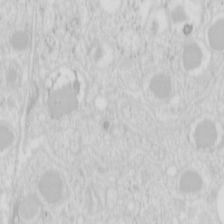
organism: Mouse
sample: Pancreas